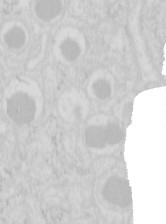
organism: Mouse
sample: Pancreas